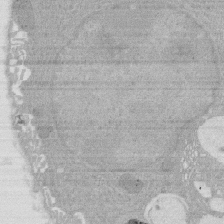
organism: Rat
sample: Salivary granule